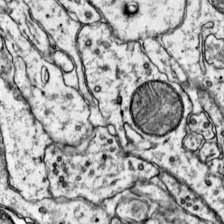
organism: Mouse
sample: Primary visual cortex